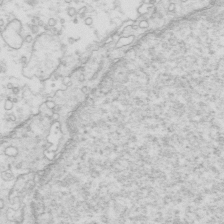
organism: Mouse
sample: Multiciliated cells